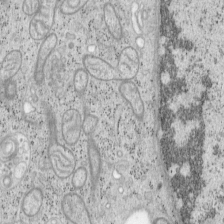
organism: Mouse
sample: OT-I killer T cells with ID8 ovarian cancer cells